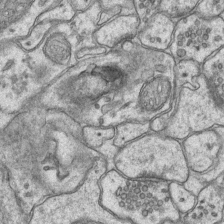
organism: Mouse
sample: CA1 Hippocampus